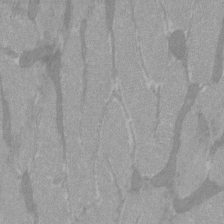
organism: C57BL Mouse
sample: Tibialis anterior muscle cell